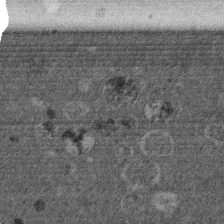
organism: Mouse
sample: Dividing mouse embryo 1 cell stage